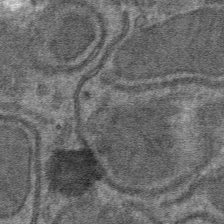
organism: Mouse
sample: Mouse hepatocytes